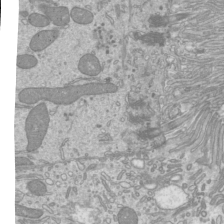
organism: Mouse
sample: Cilia; mouse epididymis